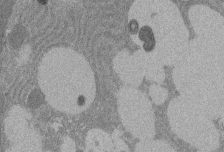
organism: Rat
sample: Salivary granule